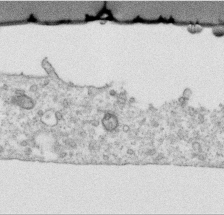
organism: Human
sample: Centriole in RPE cells